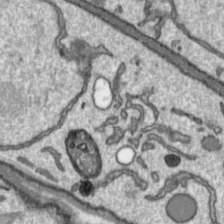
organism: Toxoplasma gondii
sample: Parasites in a vacuole inside a host cell